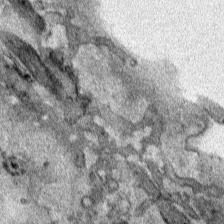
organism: Human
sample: Mitochondria in HCT116 cells